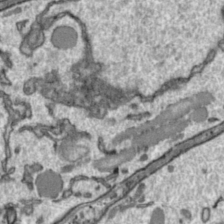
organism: Toxoplasma gondii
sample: Parasites in a vacuole inside a host cell